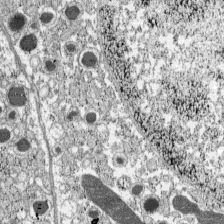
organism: C57BL Mouse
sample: Pancreatic islet